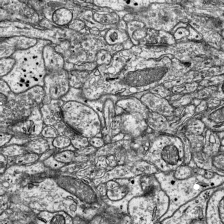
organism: Mouse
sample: Visual Cortex